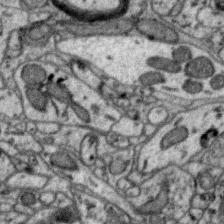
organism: Zebra finch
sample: Brain